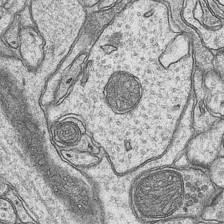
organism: Mouse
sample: CA1 Hippocampus